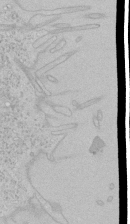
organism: Human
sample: Mitochondria in HCT116 cells